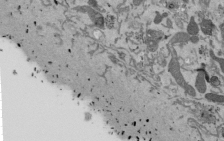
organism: Mouse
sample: ED-1 cell nuclei; centrioles